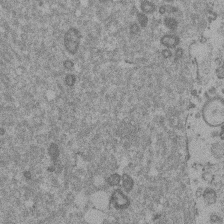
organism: Mouse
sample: Dividing mouse embryo 1 cell stage